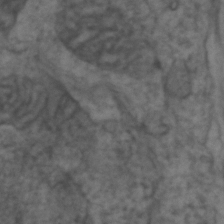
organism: Zebrafish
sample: Zebrafish embryo